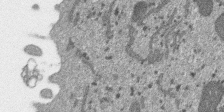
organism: Human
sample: Lung epithelial cells infected with SARS-CoV-2